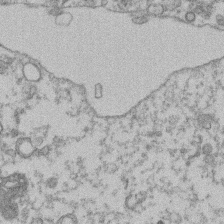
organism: Mouse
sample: T cell stromal cell synapse